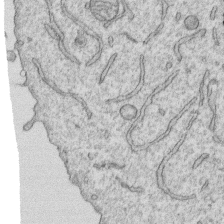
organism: Human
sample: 1205lu cells